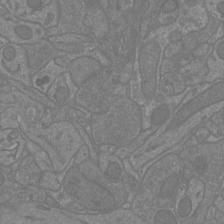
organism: Mouse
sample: Cortical neurons